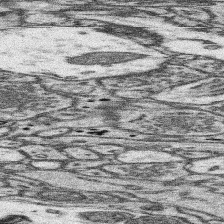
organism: Mouse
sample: Somatosensory cortex neuropil